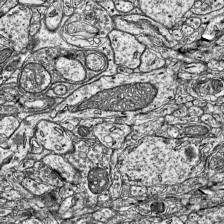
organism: Mouse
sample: Visual Cortex